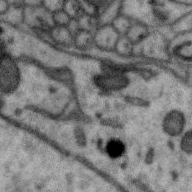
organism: Zebra finch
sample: Brain